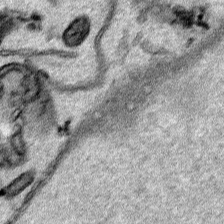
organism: Human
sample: Mitochondria in HCT116 cells